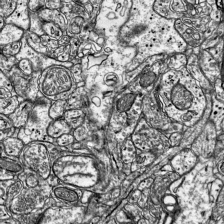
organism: Mouse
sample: Visual Cortex